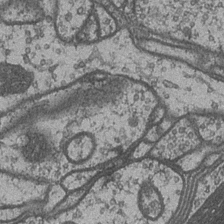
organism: Drosophila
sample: Optic medulla